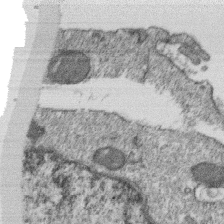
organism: African green monkey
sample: Vero E6 cells infected with SARS-CoV-2